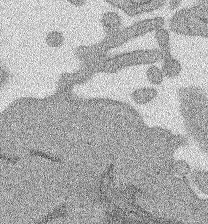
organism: Human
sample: HeLa cells